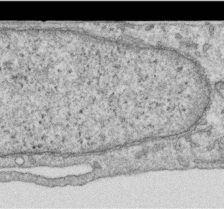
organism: Human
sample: Centriole in RPE cells